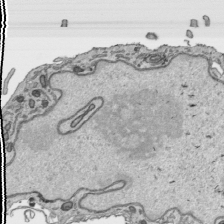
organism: Human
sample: Mitochondria in HCT116 cells